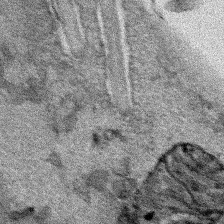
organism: Human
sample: Mitochondria in HCT116 cells